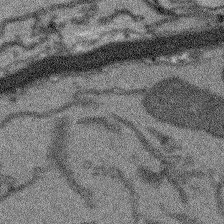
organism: Arabidopsis thaliana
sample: Root tip